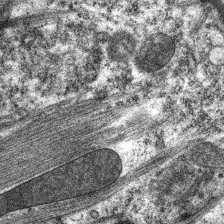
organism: C. elegans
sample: Pharynx